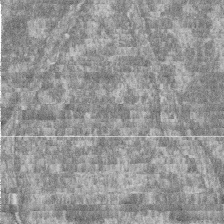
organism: Zebrafish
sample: Cilia; retinal pigment epithelium